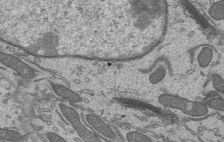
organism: Mouse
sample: Mouse epididymis efferent ductule cilia